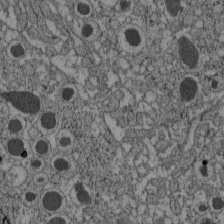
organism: C57BL Mouse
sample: Pancreatic islet